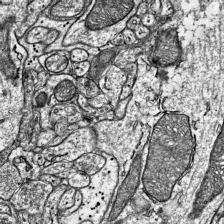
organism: Mouse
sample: Visual Cortex